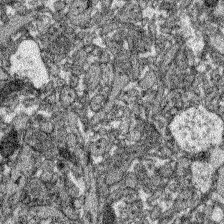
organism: Zebrafish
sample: Larval olfactory bulb